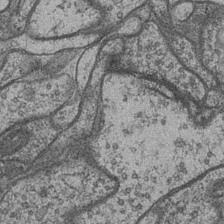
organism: Drosophila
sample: Optic medulla